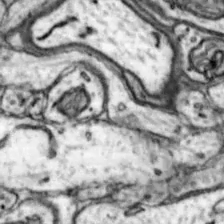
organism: Mouse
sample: Nucleus accumbens